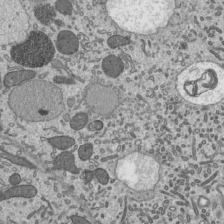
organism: Mouse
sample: Mouse epididymis efferent ductule cilia